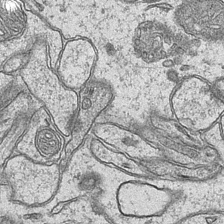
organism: Mouse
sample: CA1 Hippocampus